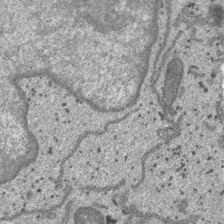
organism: Human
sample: Lung epithelial cells infected with SARS-CoV-2